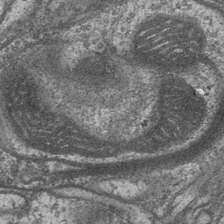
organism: Drosophila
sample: Optic medulla